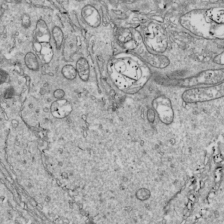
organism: Drosophila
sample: Cell division; meiosis; drosophila spermatocytes